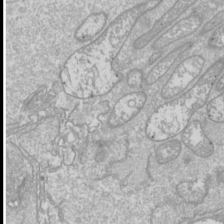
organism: Drosophila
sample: Cell division; meiosis; drosophila spermatocytes